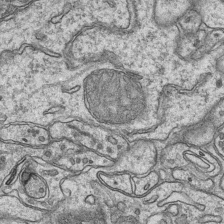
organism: Mouse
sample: CA1 Hippocampus